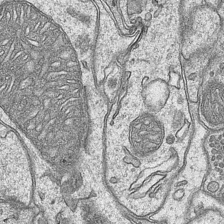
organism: Mouse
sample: CA1 Hippocampus